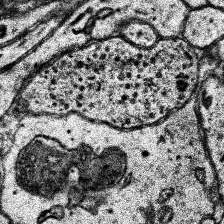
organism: Human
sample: Temporal Lobe